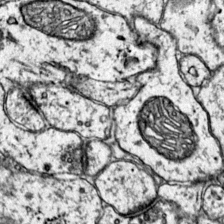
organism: Mouse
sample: Primary visual cortex